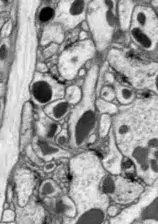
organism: Drosophila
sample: Optic lobe